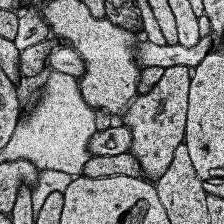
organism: Human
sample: Temporal Lobe